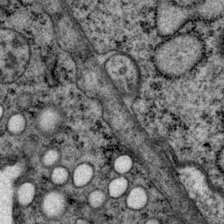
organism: P. pacificus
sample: Pharynx